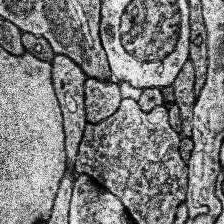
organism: Human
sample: Temporal Lobe